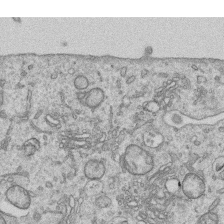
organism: Human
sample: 1205lu cells